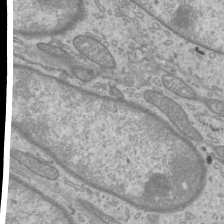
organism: Mouse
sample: Cilia; mouse epididymis